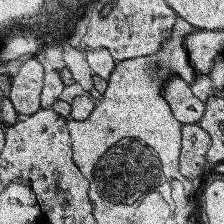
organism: Human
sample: Temporal Lobe